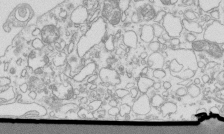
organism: Mouse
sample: Macrophages